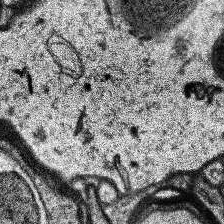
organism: Human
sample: Temporal Lobe